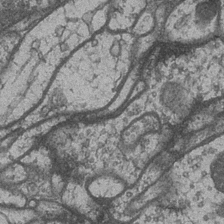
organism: Drosophila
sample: Optic medulla